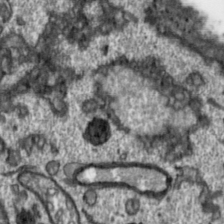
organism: Toxoplasma gondii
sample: Parasites in a vacuole inside a host cell